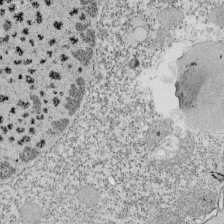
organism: Tetrahymena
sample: Cilia in tetrahymena